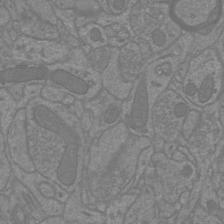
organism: Mouse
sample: Cortical neurons